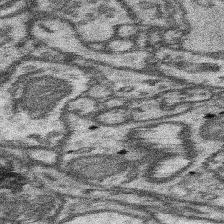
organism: Mouse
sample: Somatosensory cortex neuropil